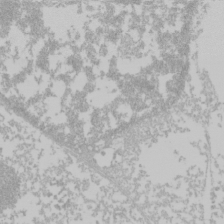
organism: Mouse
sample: Cancer cell death in ED-1 cells